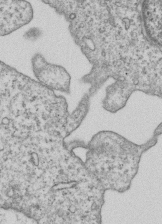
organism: Human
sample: MDA-MB-231 cells